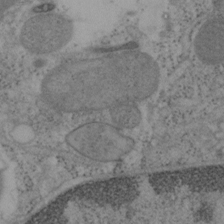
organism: Mouse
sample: OT-I killer T cells with ID8 ovarian cancer cells